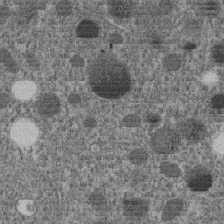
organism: C. elegans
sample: C. elegans embryo early stage